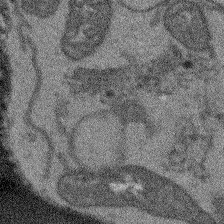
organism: Arabidopsis thaliana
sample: Root tip